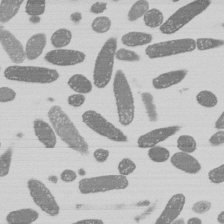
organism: E. coli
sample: Bacterial nucleoid